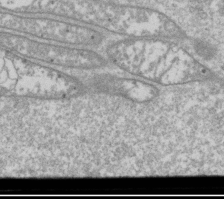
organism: Drosophila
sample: Cell division; meiosis; drosophila spermatocytes